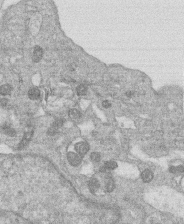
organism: Human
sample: Macrophage cells